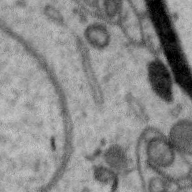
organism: Zebra finch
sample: Brain